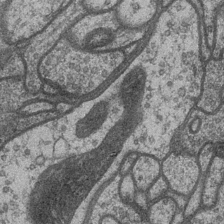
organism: Drosophila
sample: Optic medulla